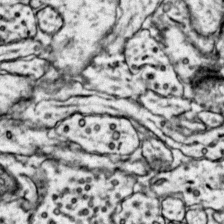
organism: Mouse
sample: Primary visual cortex